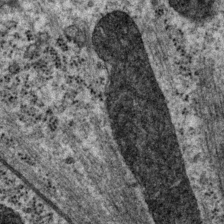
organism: P. pacificus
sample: Pharynx